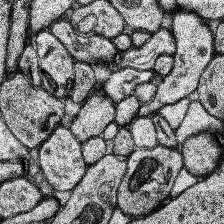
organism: Human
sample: Temporal Lobe